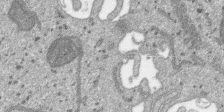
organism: Human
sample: Lung epithelial cells infected with SARS-CoV-2